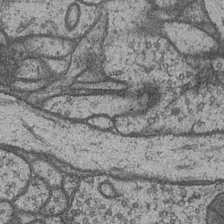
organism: Drosophila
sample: Optic medulla